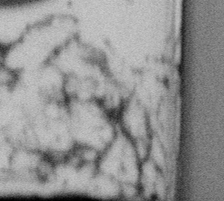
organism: Gemmata obscuriglobus